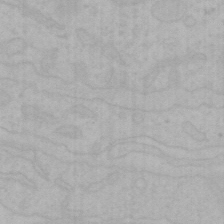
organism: Mouse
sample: Choroid plexus